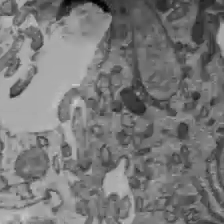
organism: C57BL Mouse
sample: Liver